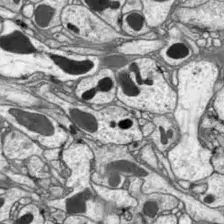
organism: Drosophila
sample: Optic lobe